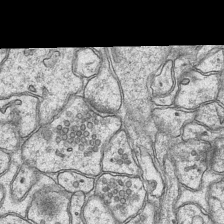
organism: Mouse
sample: CA1 Hippocampus